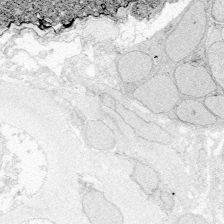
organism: Zebrafish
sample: Whole-Brain